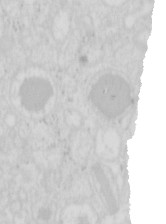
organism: Mouse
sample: Pancreas